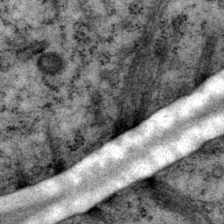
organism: P. pacificus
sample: Pharynx